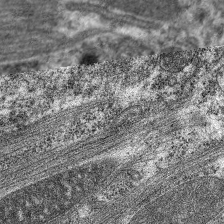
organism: C. elegans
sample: Pharynx